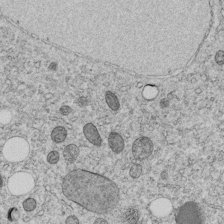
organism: C. elegans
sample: C. elegans embryo early stage